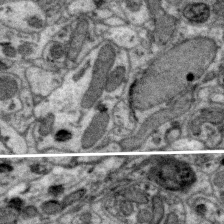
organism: Zebra finch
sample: Brain